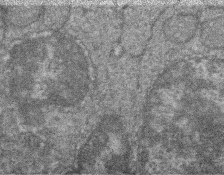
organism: Zebrafish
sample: Cilia; retinal pigment epithelium